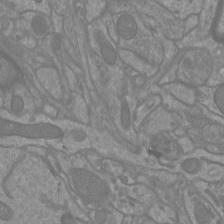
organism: Mouse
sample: Cortical neurons